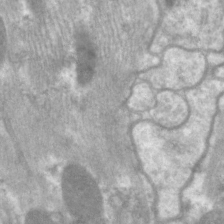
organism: C. elegans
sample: Pharynx